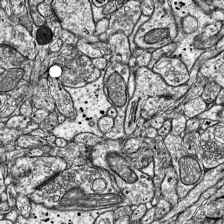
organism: Mouse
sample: Visual Cortex